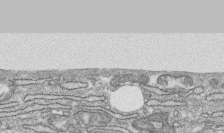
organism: Human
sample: CRL-1474